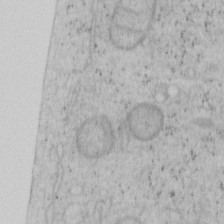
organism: Human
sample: HeLa cells